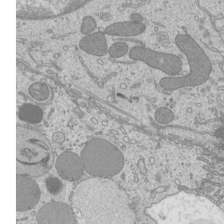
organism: Mouse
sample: Cilia; mouse epididymis